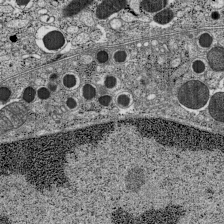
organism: C57BL Mouse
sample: Pancreatic islet